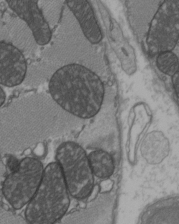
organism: C57BL Mouse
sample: Heart